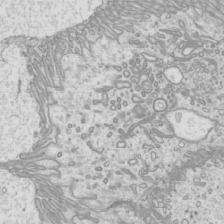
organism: Mouse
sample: Cilia; mouse epididymis